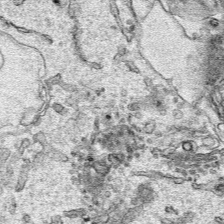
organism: Human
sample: Mitochondria in HCT116 cells